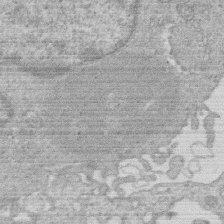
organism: Human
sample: Macrophage cells